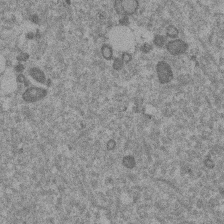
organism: Mouse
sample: Dividing mouse embryo 1 cell stage